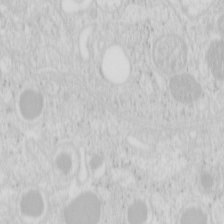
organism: Mouse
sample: Pancreas